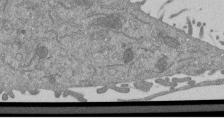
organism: Mouse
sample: ED-1 cell nuclei; centrioles